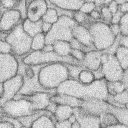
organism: Rabbit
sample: Retina